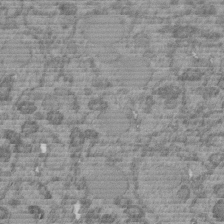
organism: C. elegans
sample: C. elegans embryo early stage